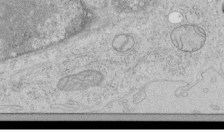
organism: Human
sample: Mitochondria in HCT116 cells